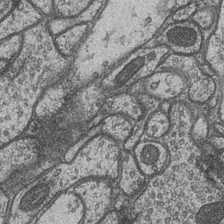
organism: Drosophila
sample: Optic medulla